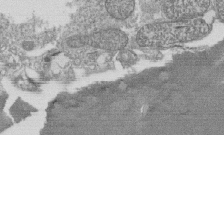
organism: Tetrahymena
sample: Cilia in tetrahymena